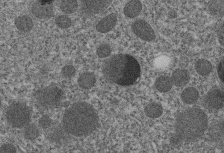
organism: C. elegans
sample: C. elegans embryo early stage